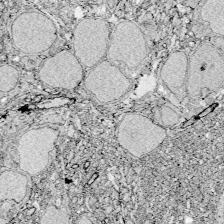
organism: Zebrafish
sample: Whole-Brain